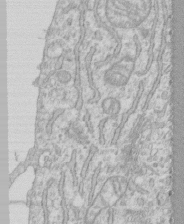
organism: Human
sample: CRL-1474